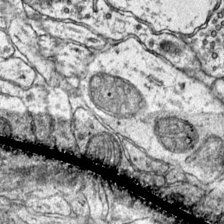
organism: Mouse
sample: Primary visual cortex